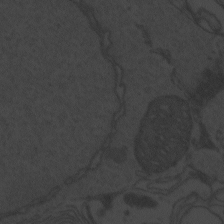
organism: Zebrafish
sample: Macrophage infected with Toxoplasma gondii